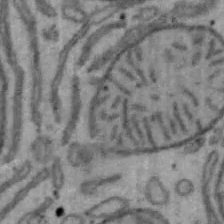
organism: Mouse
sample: Liver